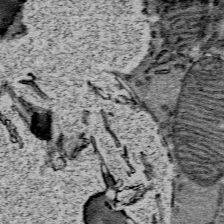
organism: Mouse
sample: Mouse Salivary gland